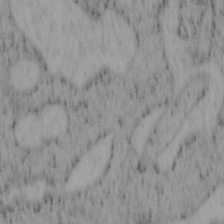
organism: Mouse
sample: OT-I killer T cells with ID8 ovarian cancer cells